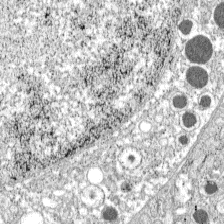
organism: C57BL Mouse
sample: Pancreatic islet